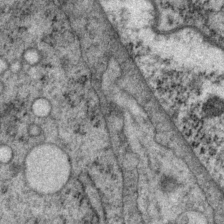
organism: P. pacificus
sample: Pharynx